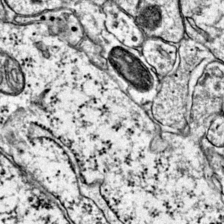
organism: Mouse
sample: Primary visual cortex